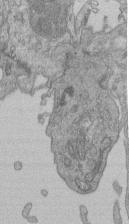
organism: Human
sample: Retinal organoid Rod and Cone cells